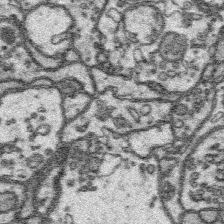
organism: Platynereis dumerilii